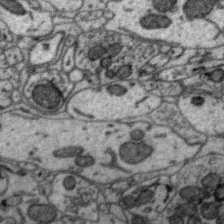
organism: Zebra finch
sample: Brain